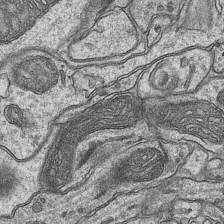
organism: Mouse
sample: CA1 Hippocampus